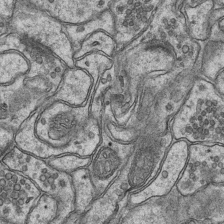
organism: Mouse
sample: CA1 Hippocampus